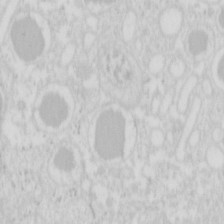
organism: Mouse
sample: Pancreas